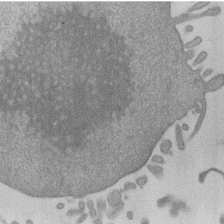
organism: Mouse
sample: Dividing mouse embryo 1 cell stage